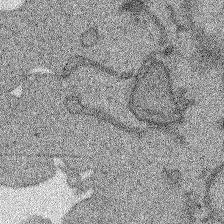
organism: Human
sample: HeLa cells